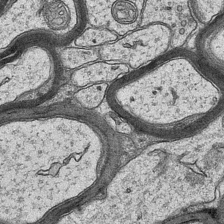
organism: Mouse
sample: CA1 Hippocampus